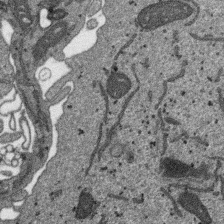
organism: Human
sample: Lung epithelial cells infected with SARS-CoV-2